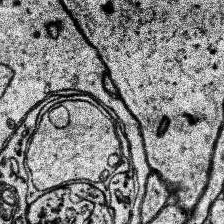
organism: Human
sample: Temporal Lobe